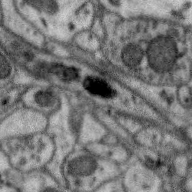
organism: Zebra finch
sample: Brain